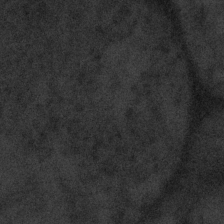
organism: Tuwongella immobilis